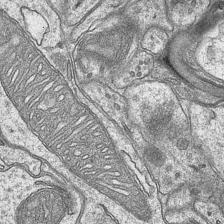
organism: Mouse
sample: CA1 Hippocampus